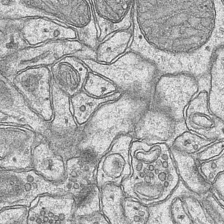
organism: Mouse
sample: CA1 Hippocampus